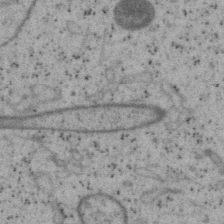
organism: Human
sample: HeLa cells